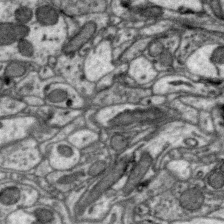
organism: Zebra finch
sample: Brain